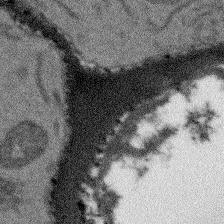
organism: Arabidopsis thaliana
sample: Root tip